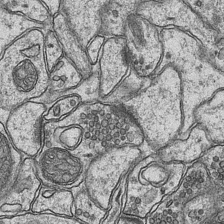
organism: Mouse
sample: CA1 Hippocampus